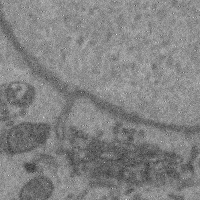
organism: Mouse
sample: Cerebral cortex